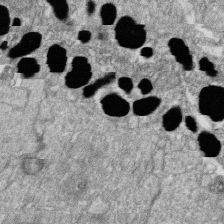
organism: Zebrafish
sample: Cilia; retinal pigment epithelium